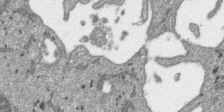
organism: Human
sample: Lung epithelial cells infected with SARS-CoV-2